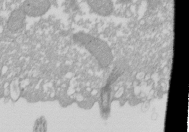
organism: Xenopus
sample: Cilia; centrioles in frog embryo cells